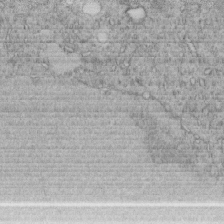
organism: C. elegans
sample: C. elegans embryo early stage